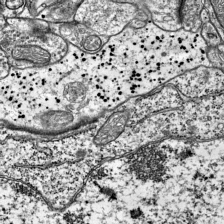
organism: Mouse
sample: Visual Cortex